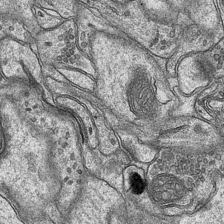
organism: Mouse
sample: CA1 Hippocampus